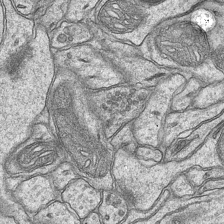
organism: Mouse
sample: CA1 Hippocampus